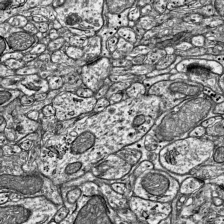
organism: Mouse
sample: Visual Cortex